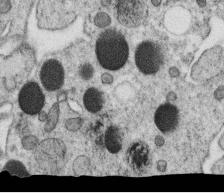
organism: C. elegans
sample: C. elegans oocyte; sperm cells